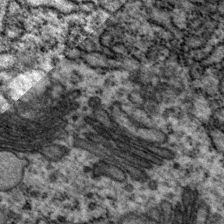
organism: P. pacificus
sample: Pharynx